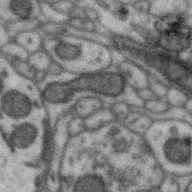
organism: Zebra finch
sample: Brain